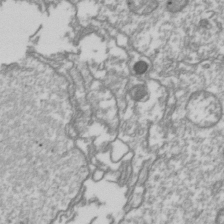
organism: Drosophila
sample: Cell division; meiosis; drosophila spermatocytes